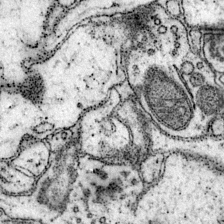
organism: Mouse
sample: Primary visual cortex